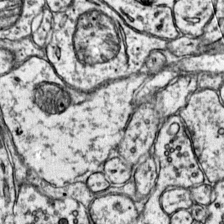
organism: Mouse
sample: Primary visual cortex